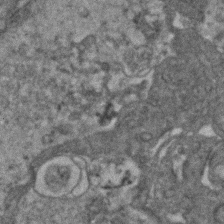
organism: Human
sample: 1205lu cells